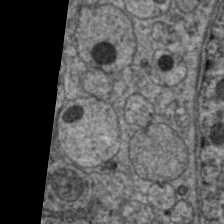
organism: C. elegans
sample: Pharynx